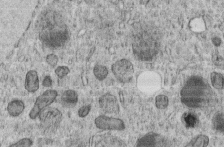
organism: C. elegans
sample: C. elegans embryo early stage